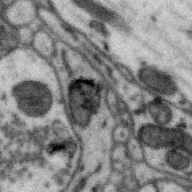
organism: Zebra finch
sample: Brain